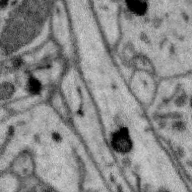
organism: Zebra finch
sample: Brain